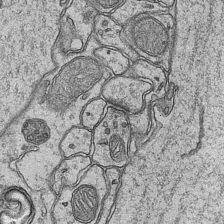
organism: Mouse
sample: CA1 Hippocampus